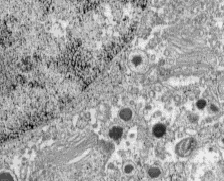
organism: C57BL Mouse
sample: Pancreatic islet